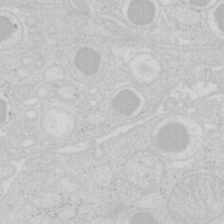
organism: Mouse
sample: Pancreas